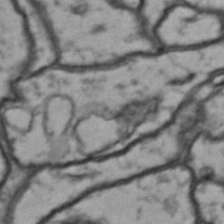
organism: Drosophila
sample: Brain